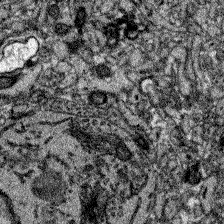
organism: Zebrafish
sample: Larval olfactory bulb